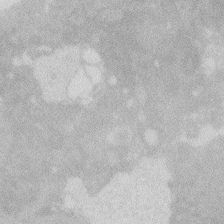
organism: Zebrafish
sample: Macrophage